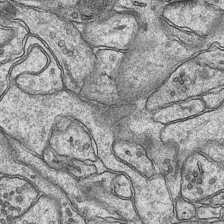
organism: Mouse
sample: CA1 Hippocampus